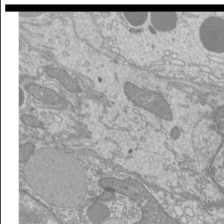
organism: Mouse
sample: Cilia; mouse epididymis